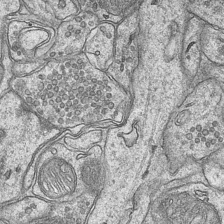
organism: Mouse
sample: CA1 Hippocampus